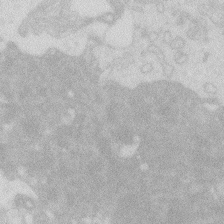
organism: Zebrafish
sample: Macrophage